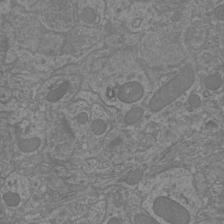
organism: Mouse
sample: Cortical neurons